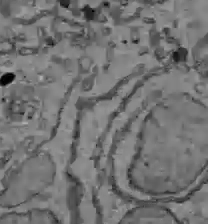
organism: C57BL Mouse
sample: Liver